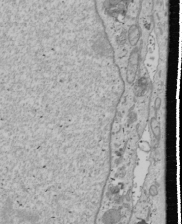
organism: Human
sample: Mitochondria in U2OS cells